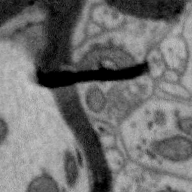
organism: Zebra finch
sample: Brain